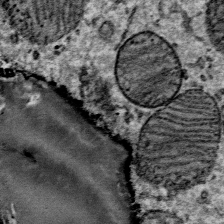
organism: Mouse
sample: Mouse Salivary gland